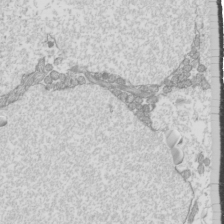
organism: Mouse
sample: Cilia; mouse epididymis